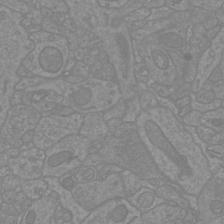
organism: Mouse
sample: Cortical neurons